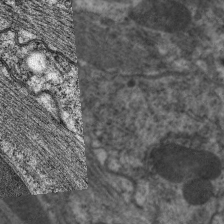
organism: C. elegans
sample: Pharynx